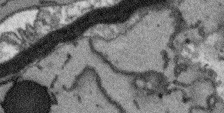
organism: Arabidopsis thaliana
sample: Root tip